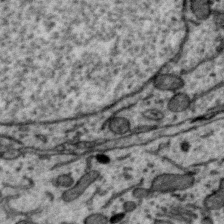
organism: Zebra finch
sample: Brain